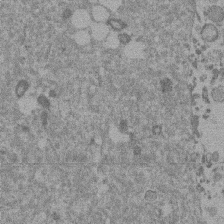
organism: Mouse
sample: Dividing mouse embryo 1 cell stage